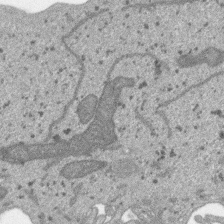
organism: Human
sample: Lung epithelial cells infected with SARS-CoV-2